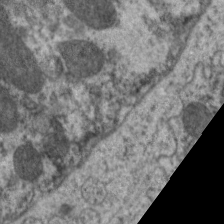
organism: C. elegans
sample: Pharynx